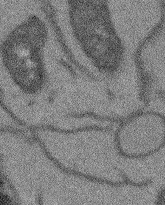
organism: Arabidopsis thaliana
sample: Root tip